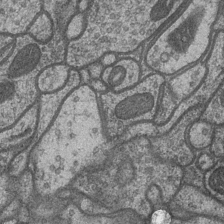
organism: Drosophila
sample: Optic medulla